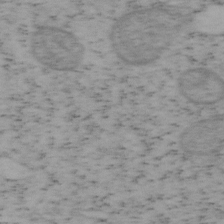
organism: Mouse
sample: OT-I killer T cells with ID8 ovarian cancer cells